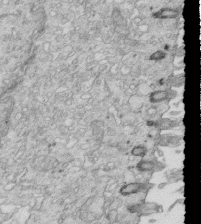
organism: Mouse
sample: Multiciliated cells